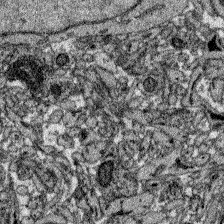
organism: Zebrafish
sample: Larval olfactory bulb